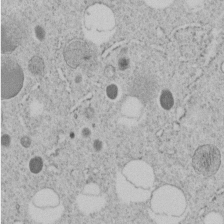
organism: C. elegans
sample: C. elegans embryo early stage